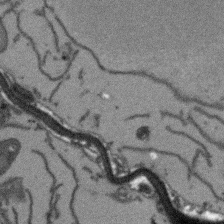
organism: Arabidopsis thaliana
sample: Root tip